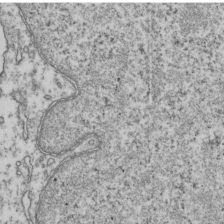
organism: Human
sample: Activated Jurkat CD4+ T cells